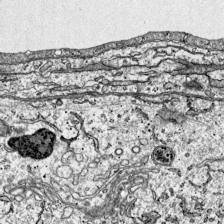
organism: Mouse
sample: Visual Cortex